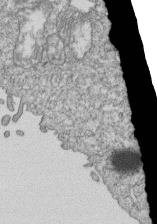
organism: Human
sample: HeLa cell HIV synapse